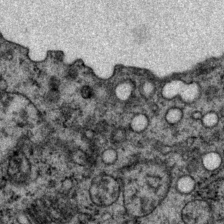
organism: P. pacificus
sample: Pharynx